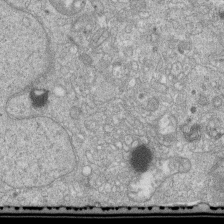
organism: Human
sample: HeLa cell HIV synapse